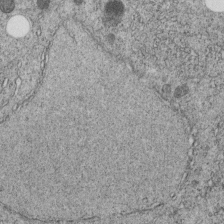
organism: C. elegans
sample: C. elegans embryo early stage